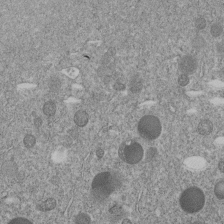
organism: C. elegans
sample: C. elegans embryo early stage